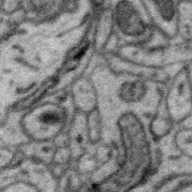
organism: Zebra finch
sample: Brain